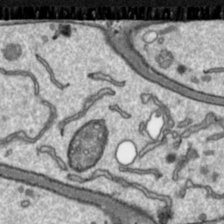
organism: Toxoplasma gondii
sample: Parasites in a vacuole inside a host cell